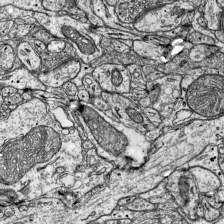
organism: Mouse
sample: Visual Cortex